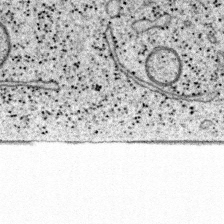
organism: Human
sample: HeLa cells